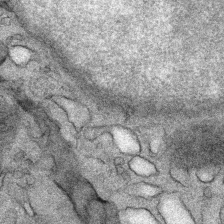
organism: Mouse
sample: Mouse Salivary gland